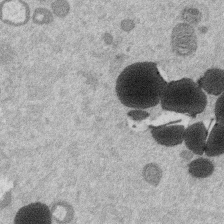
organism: Mouse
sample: Dividing mouse embryo 1 cell stage